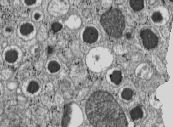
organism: C57BL Mouse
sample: Pancreatic islet